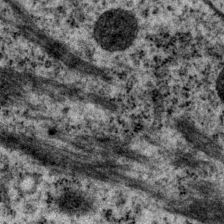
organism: P. pacificus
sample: Pharynx